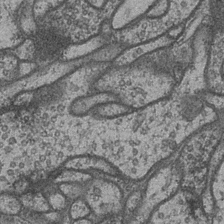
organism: Drosophila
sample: Optic medulla